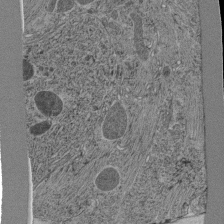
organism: C. elegans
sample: C. elegans pharynx